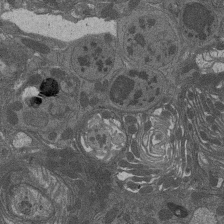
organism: Drosophila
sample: Antenna